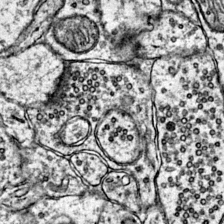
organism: Mouse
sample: Primary visual cortex